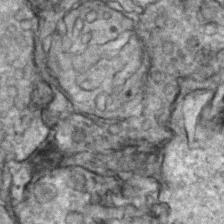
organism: Zebrafish